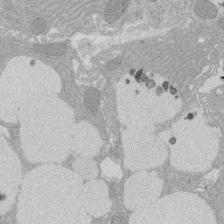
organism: Rat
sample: Salivary granule